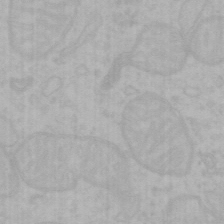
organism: Mouse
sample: Choroid plexus